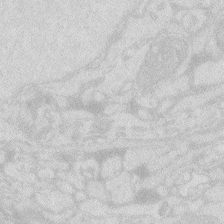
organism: Zebrafish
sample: Macrophage